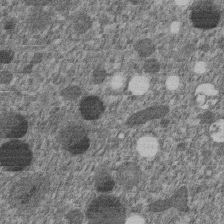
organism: C. elegans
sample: C. elegans embryo early stage